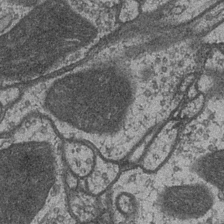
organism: Drosophila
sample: Optic medulla